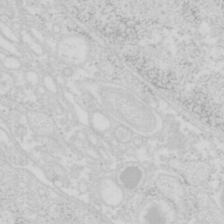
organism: Mouse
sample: Pancreas